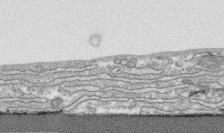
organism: Human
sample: CRL-1474